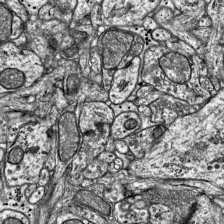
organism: Mouse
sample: Visual Cortex